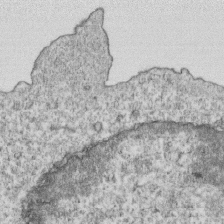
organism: Mouse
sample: Activated OT-1 CD8+ T cells